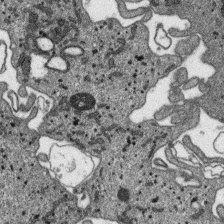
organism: Human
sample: Lung epithelial cells infected with SARS-CoV-2